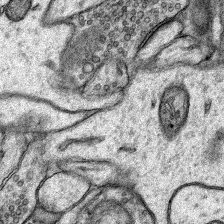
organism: Rat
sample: Hippocampus